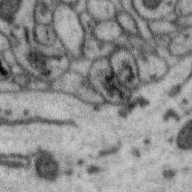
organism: Zebra finch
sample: Brain